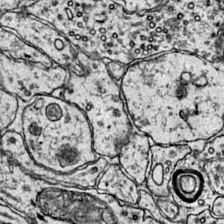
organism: Mouse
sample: Primary visual cortex